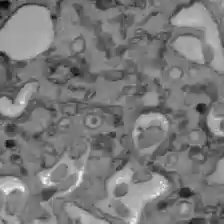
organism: C57BL Mouse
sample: Liver